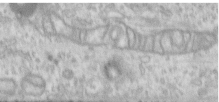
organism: Human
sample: Centriole in RPE cells